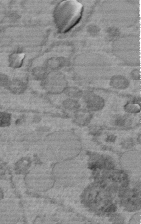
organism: C. elegans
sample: C. elegans embryo early stage